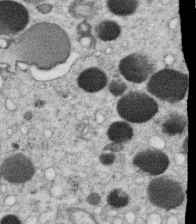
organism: C. elegans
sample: C. elegans oocyte; sperm cells